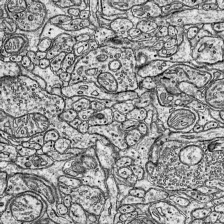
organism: Mouse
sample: Visual Cortex